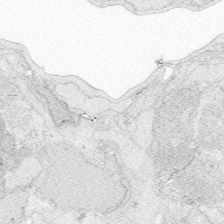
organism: Zebrafish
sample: Whole-Brain